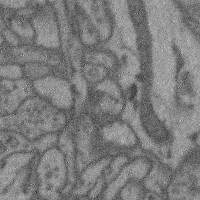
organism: Mouse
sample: Cerebral cortex